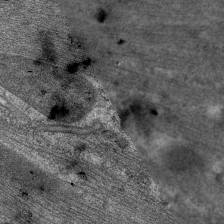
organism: C. elegans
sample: Pharynx